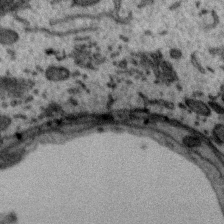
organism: Zebra finch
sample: Brain